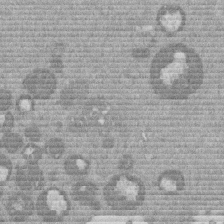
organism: Mouse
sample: Dividing mouse embryo 1 cell stage